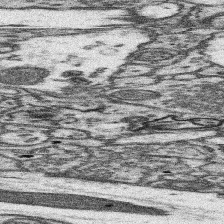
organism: Mouse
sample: Somatosensory cortex neuropil